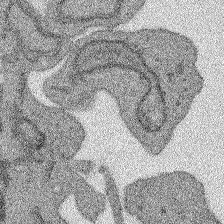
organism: Human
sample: HeLa cells